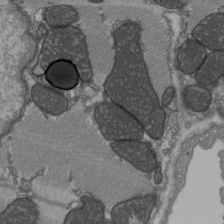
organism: C57BL Mouse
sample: Heart